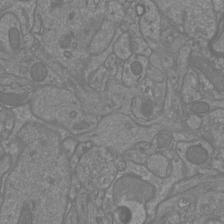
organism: Mouse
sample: Cortical neurons